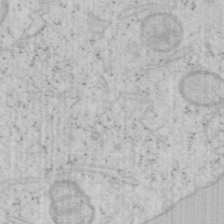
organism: Human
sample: HeLa cells